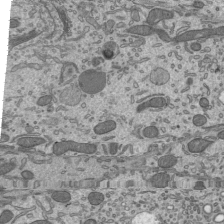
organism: Mouse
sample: Mouse epididymis efferent ductule cilia